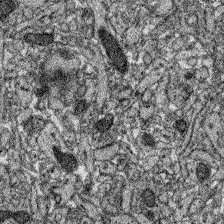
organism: Zebrafish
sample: Larval olfactory bulb